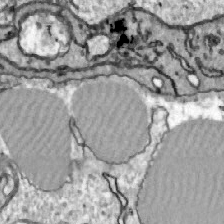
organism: Zebrafish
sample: Actinotrichia fibers